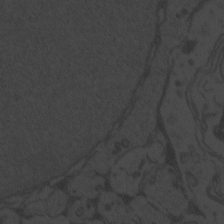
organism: Zebrafish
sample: Macrophage infected with Toxoplasma gondii